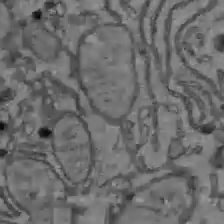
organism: C57BL Mouse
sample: Liver